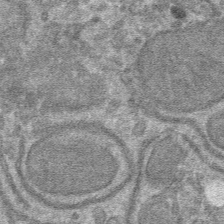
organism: Mouse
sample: Mouse hepatocytes